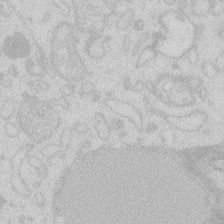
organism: Zebrafish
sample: Macrophage